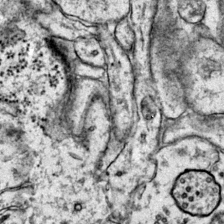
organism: Mouse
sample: Primary visual cortex